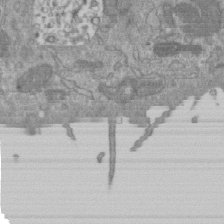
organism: Mouse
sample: ED-1 cell nuclei; centrioles